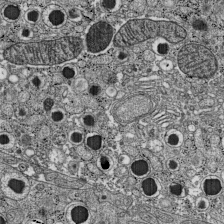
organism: C57BL Mouse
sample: Pancreatic islet